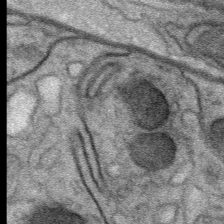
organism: Mouse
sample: Mouse Salivary gland